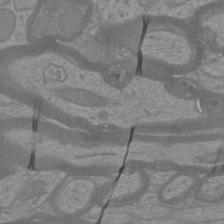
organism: Mouse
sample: Cortical neurons